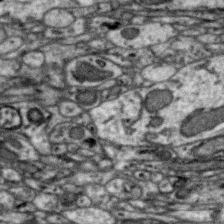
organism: Zebra finch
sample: Brain